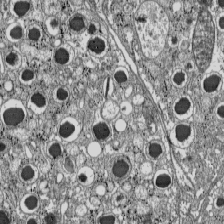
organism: C57BL Mouse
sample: Pancreatic islet